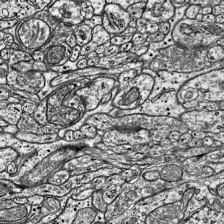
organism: Mouse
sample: Visual Cortex